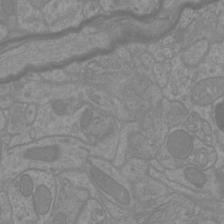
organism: Mouse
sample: Cortical neurons